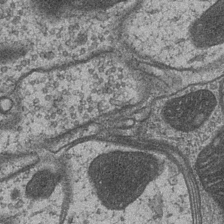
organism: Drosophila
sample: Optic medulla